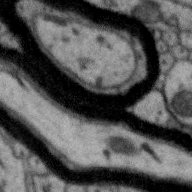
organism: Zebra finch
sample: Brain